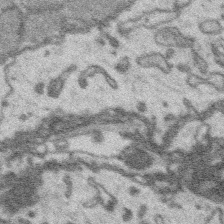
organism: Platynereis dumerilii